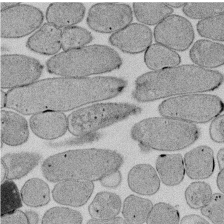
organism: E. coli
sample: Bacterial nucleoid